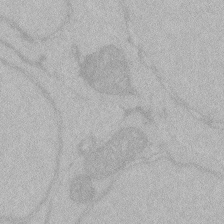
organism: Zebrafish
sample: Macrophage infected with Toxoplasma gondii